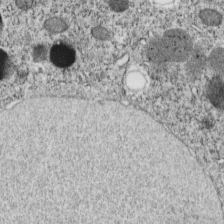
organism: C. elegans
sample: C. elegans embryo early stage